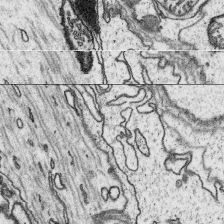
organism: Platynereis dumerilii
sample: Parapodia